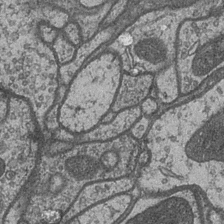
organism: Drosophila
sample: Optic medulla